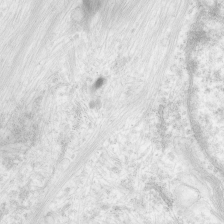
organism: Human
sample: Neocortex